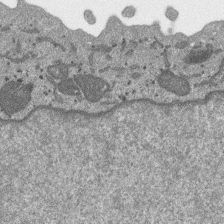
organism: Human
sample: Lung epithelial cells infected with SARS-CoV-2